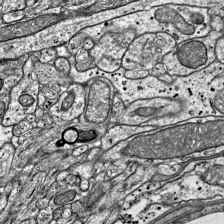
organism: Mouse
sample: Visual Cortex